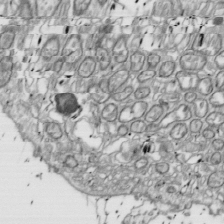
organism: Drosophila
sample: Cell division; meiosis; drosophila spermatocytes